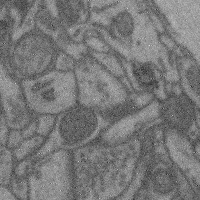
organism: Mouse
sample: Cerebral cortex